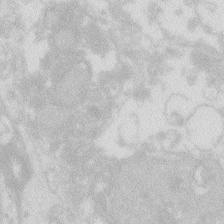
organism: Zebrafish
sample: Macrophage